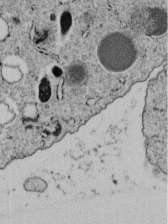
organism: C. elegans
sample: C. elegans embryo early stage